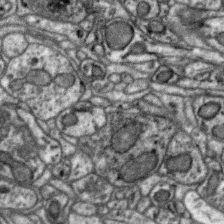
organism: Zebra finch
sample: Brain